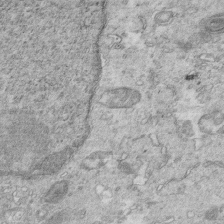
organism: Mouse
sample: Multiciliated cells